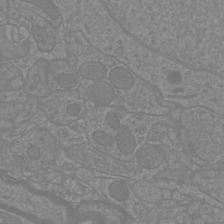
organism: Mouse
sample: Cortical neurons